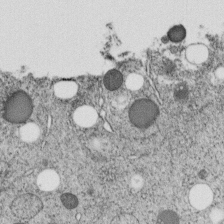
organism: C. elegans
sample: C. elegans embryo early stage